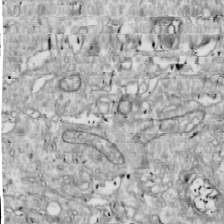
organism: Drosophila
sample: Cell division; meiosis; drosophila spermatocytes